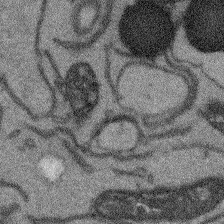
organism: Arabidopsis thaliana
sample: Root tip